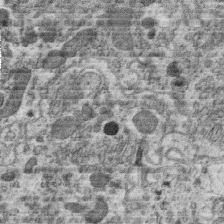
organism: C. elegans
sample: C. elegans oocyte; sperm cells